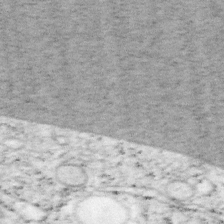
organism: Mouse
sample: OT-I killer T cells with ID8 ovarian cancer cells